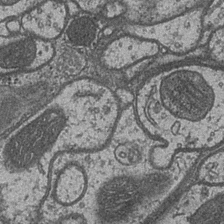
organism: Drosophila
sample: Optic medulla